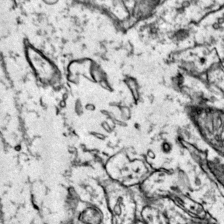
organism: Mouse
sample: Primary visual cortex